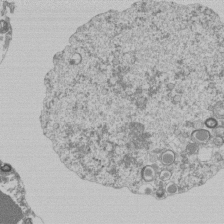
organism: Mouse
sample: Activated Pmel transgenic CD8+ T Cells